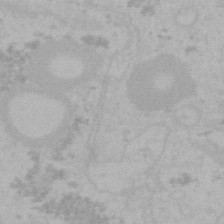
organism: Mouse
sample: Choroid plexus